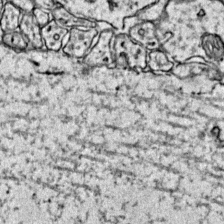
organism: Mouse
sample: Primary visual cortex